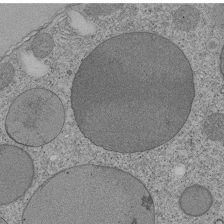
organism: Tetrahymena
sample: Cilia in tetrahymena